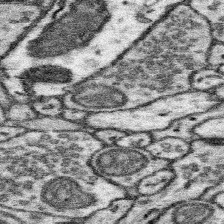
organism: Mouse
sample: Somatosensory cortex neuropil